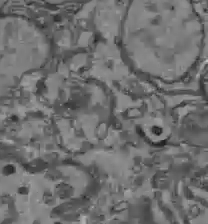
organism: C57BL Mouse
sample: Liver